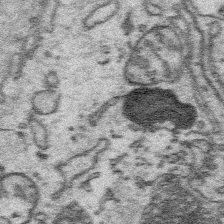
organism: Platynereis dumerilii